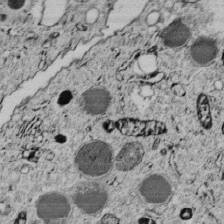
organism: C. elegans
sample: C. elegans embryo early stage